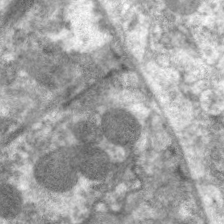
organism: C. elegans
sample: Pharynx